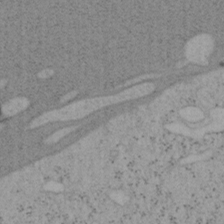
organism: Mouse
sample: OT-I killer T cells with ID8 ovarian cancer cells